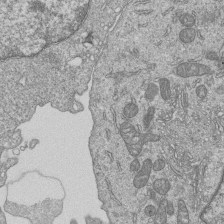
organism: Human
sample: MDA-MB-231 cells